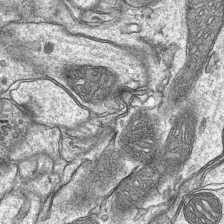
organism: Mouse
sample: CA1 Hippocampus